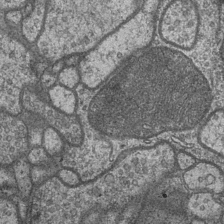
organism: Drosophila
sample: Optic medulla